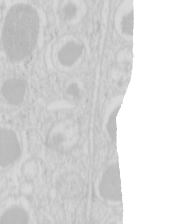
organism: Mouse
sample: Pancreas